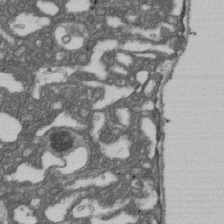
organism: Drosophila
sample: Nephrocyte